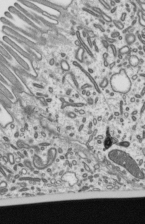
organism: Mouse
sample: Mouse epididymis efferent ductule cilia